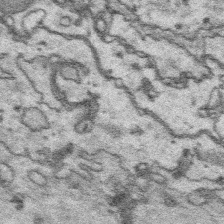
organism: Platynereis dumerilii